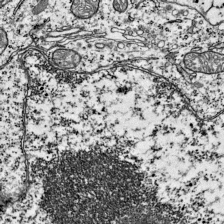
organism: Mouse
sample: Visual Cortex